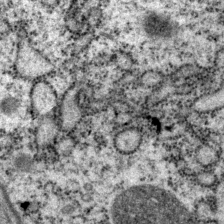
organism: P. pacificus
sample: Pharynx